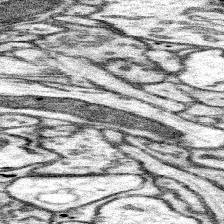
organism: Mouse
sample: Somatosensory cortex neuropil